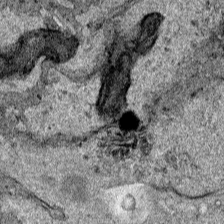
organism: Human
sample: Mitochondria in HCT116 cells